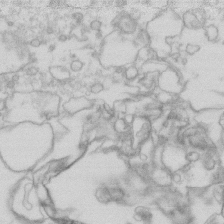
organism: Human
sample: Fibroblast cells